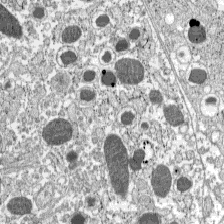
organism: C57BL Mouse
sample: Pancreatic islet